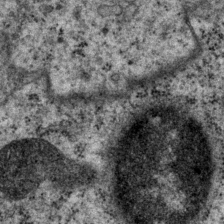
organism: P. pacificus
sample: Pharynx